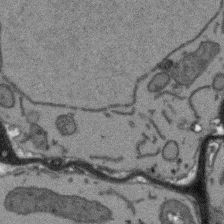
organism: Arabidopsis thaliana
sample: Root tip